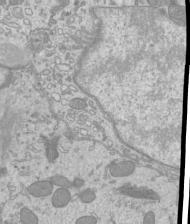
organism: Mouse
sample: Cilia; mouse epididymis